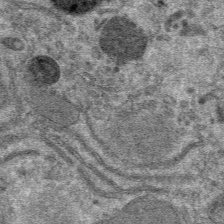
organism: Mouse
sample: Mouse hepatocytes